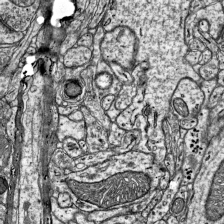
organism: Mouse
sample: Visual Cortex